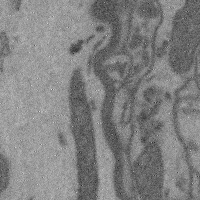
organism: Mouse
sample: Cerebral cortex